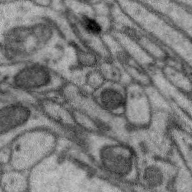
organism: Zebra finch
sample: Brain